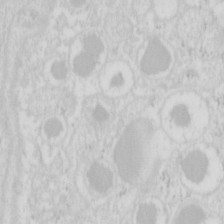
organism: Mouse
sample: Pancreas